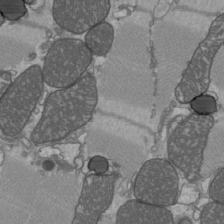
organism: C57BL Mouse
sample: Heart